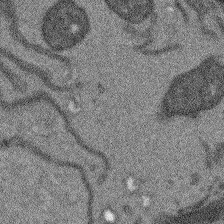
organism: Arabidopsis thaliana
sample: Root tip